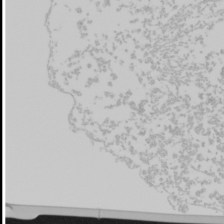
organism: Mouse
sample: Cancer cell death in ED-1 cells